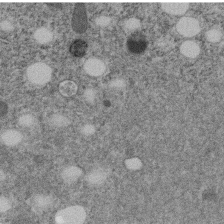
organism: C. elegans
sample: C. elegans embryo early stage